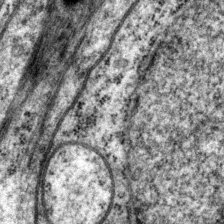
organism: P. pacificus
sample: Pharynx